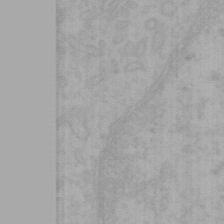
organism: Mouse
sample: Choroid plexus